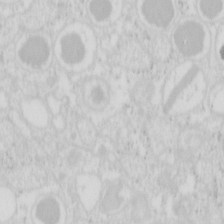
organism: Mouse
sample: Pancreas